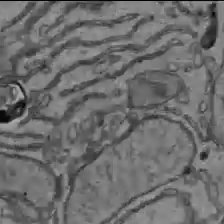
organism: C57BL Mouse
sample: Liver